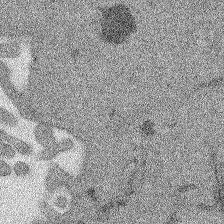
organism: Human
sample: HeLa cells